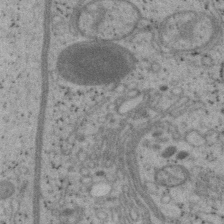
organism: Human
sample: HeLa cells